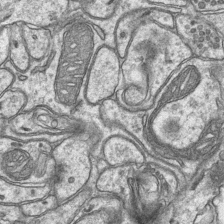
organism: Mouse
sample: CA1 Hippocampus